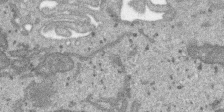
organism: Human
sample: Lung epithelial cells infected with SARS-CoV-2